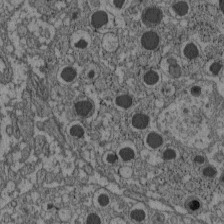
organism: C57BL Mouse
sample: Pancreatic islet